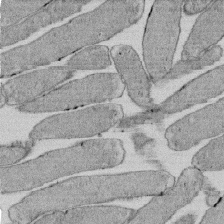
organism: E. coli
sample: Bacterial nucleoid